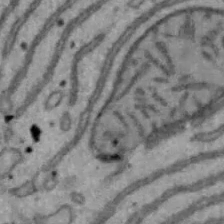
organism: Mouse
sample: Liver